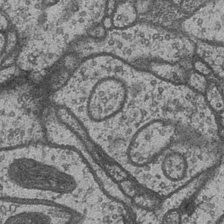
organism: Drosophila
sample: Optic medulla